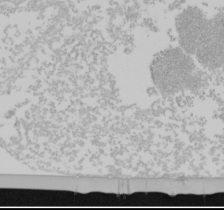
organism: Mouse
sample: Cancer cell death in ED-1 cells